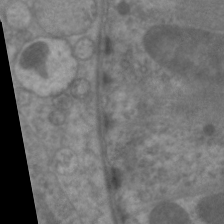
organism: C. elegans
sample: Pharynx